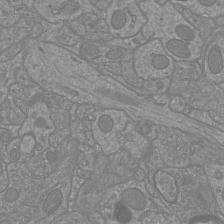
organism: Mouse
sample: Cortical neurons